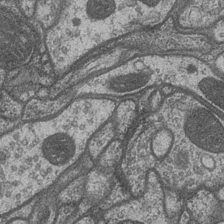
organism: Drosophila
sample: Optic medulla